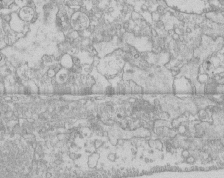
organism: Human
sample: CRL-1474